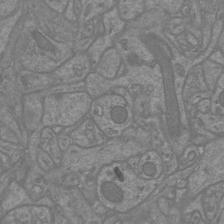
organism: Mouse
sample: Cortical neurons